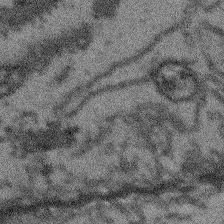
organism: Arabidopsis thaliana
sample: Root tip